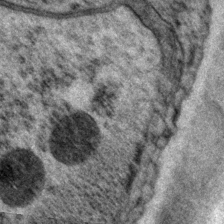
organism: P. pacificus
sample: Pharynx